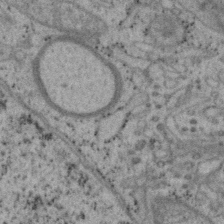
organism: Human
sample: HeLa cells